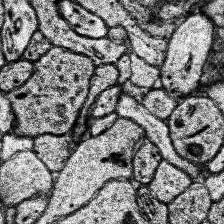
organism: Human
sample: Temporal Lobe